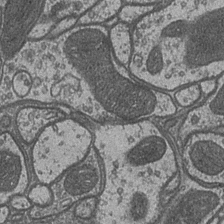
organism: Drosophila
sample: Optic medulla